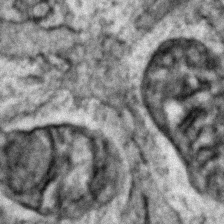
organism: Zebrafish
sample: Zebrafish embryo